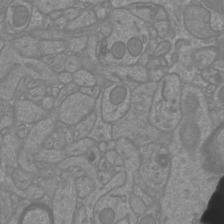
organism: Mouse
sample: Cortical neurons